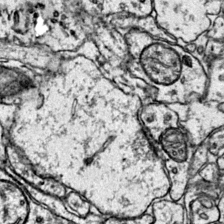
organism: Mouse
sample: Primary visual cortex